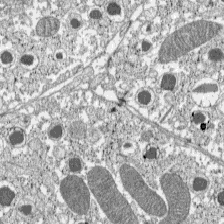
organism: C57BL Mouse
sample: Pancreatic islet